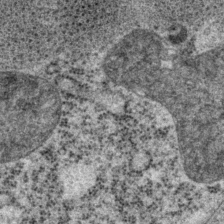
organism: P. pacificus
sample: Pharynx